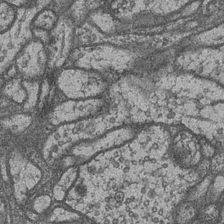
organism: Drosophila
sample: Optic medulla